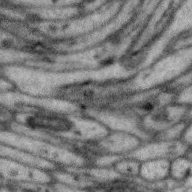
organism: Zebra finch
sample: Brain